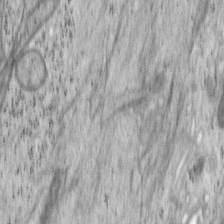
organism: Human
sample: HeLa cells